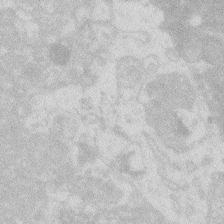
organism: Zebrafish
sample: Macrophage